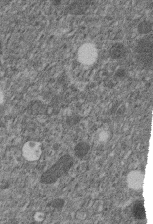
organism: C. elegans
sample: C. elegans embryo early stage